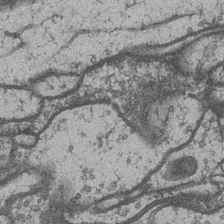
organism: Drosophila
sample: Optic medulla